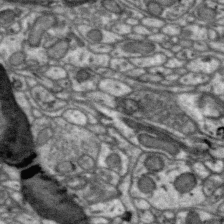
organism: Zebra finch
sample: Brain